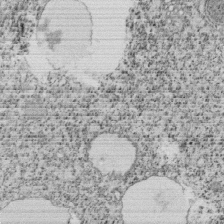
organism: Tetrahymena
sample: Cilia in tetrahymena